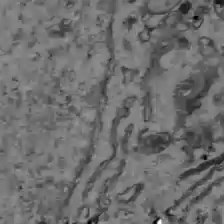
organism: C57BL Mouse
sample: Liver